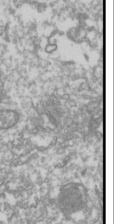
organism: Drosophila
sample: Cell division; meiosis; drosophila spermatocytes